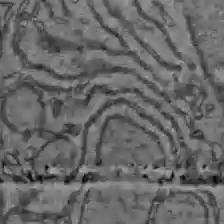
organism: C57BL Mouse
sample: Liver